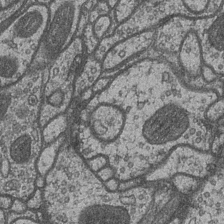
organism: Drosophila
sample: Optic medulla